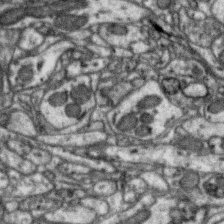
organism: Zebra finch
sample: Brain